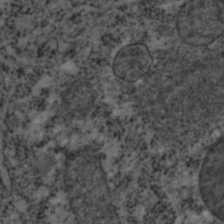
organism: C. elegans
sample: C. elegans embryo